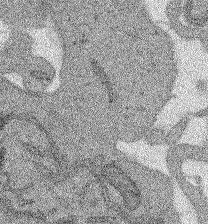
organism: Human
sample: HeLa cells